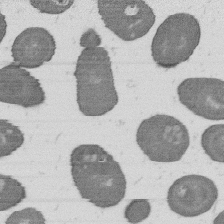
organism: B. subtilis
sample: Bacterial spore